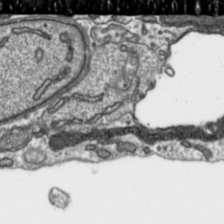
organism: Toxoplasma gondii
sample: Parasites in a vacuole inside a host cell